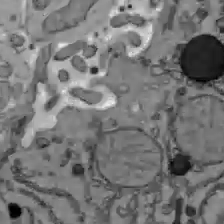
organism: C57BL Mouse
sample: Liver